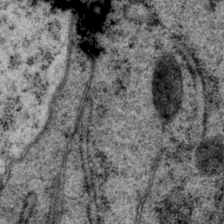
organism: P. pacificus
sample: Pharynx